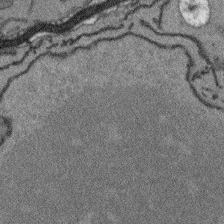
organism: Arabidopsis thaliana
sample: Root tip